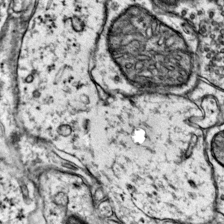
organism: Mouse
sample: Primary visual cortex